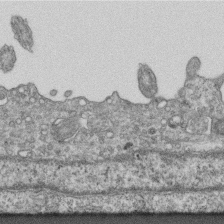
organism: Mouse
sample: Centriole in ependymal cells